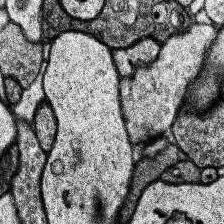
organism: Human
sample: Temporal Lobe